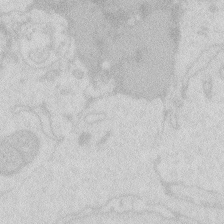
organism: Zebrafish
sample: Macrophage